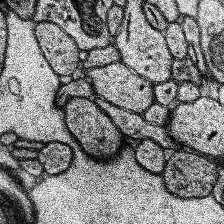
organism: Human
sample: Temporal Lobe